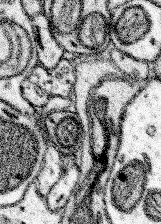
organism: Mouse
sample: Somatosensory cortex neuropil